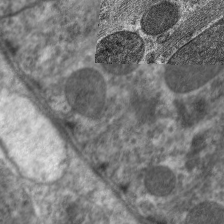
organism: C. elegans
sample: Pharynx